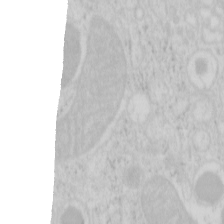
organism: Mouse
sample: Pancreas